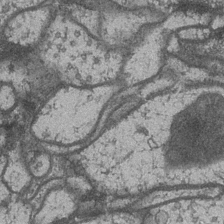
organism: Drosophila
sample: Optic medulla